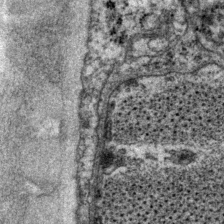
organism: P. pacificus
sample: Pharynx